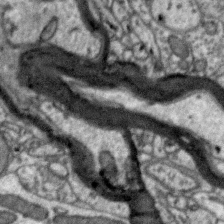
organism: Zebra finch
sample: Brain